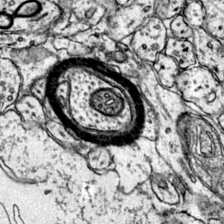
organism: Mouse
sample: Primary visual cortex